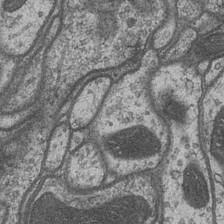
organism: Drosophila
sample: Optic medulla